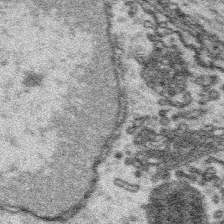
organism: Platynereis dumerilii